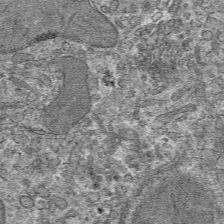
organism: Mouse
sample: Mouse hepatocytes